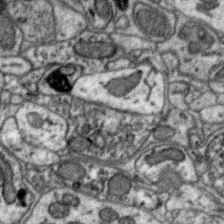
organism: Zebra finch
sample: Brain